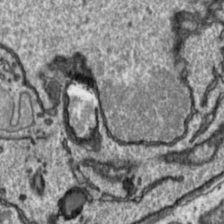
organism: Toxoplasma gondii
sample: Parasites in a vacuole inside a host cell